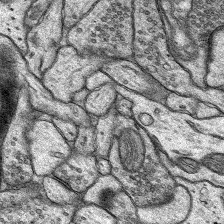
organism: Rat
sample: Hippocampus